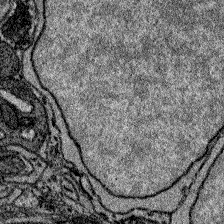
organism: Zebrafish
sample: Larval olfactory bulb